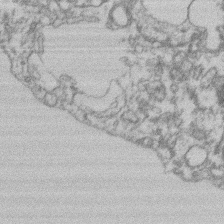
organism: Mouse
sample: T cell stromal cell synapse